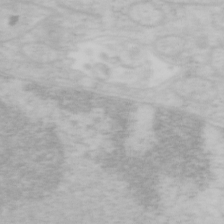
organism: Mouse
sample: OT-I killer T cells with ID8 ovarian cancer cells